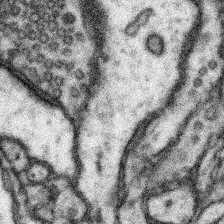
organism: Mouse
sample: Somatosensory cortex neuropil